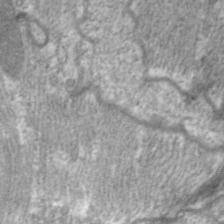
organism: C. elegans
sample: Pharynx